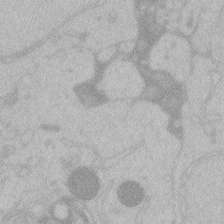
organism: Zebrafish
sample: Macrophage infected with Toxoplasma gondii